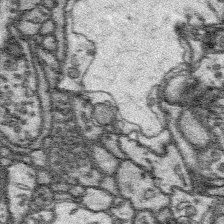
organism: Platynereis dumerilii